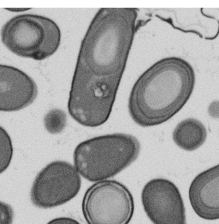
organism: B. subtilis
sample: Bacterial spore